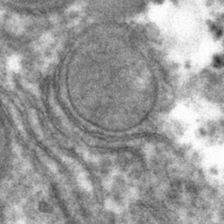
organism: Mouse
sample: Mouse hepatocytes